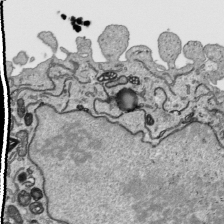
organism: Human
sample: Mitochondria in HCT116 cells